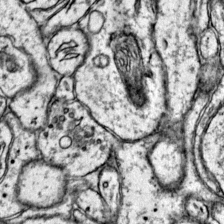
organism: Mouse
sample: Primary visual cortex